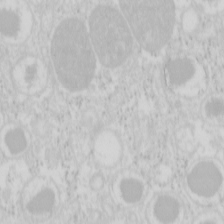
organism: Mouse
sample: Pancreas